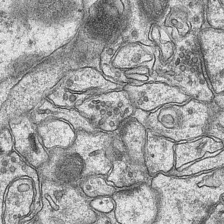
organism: Mouse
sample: CA1 Hippocampus